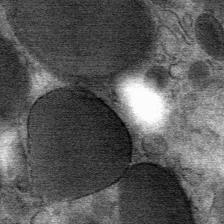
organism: Mouse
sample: Mouse Salivary gland